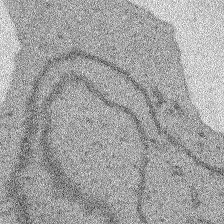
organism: Human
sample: HeLa cells